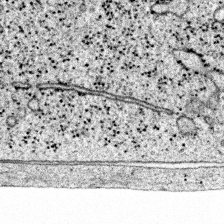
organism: Human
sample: HeLa cells